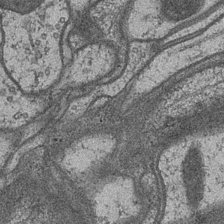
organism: Drosophila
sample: Optic medulla